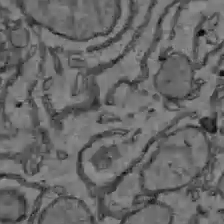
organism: C57BL Mouse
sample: Liver